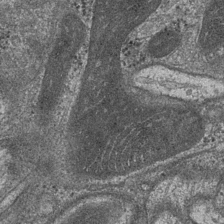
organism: Drosophila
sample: Optic medulla